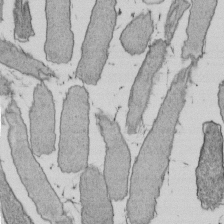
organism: E. coli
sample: Bacterial nucleoid